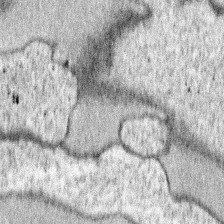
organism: Human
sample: HeLa cells